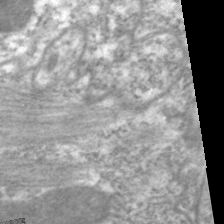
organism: C. elegans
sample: Pharynx